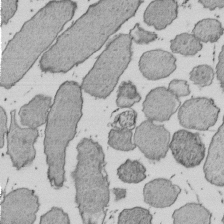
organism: E. coli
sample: Bacterial nucleoid